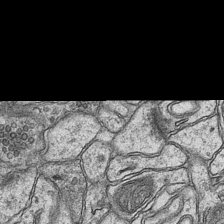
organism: Mouse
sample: CA1 Hippocampus